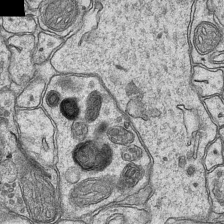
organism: Mouse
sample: CA1 Hippocampus